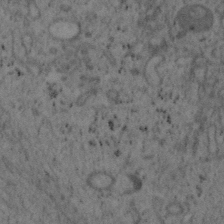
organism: Human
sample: HeLa cells